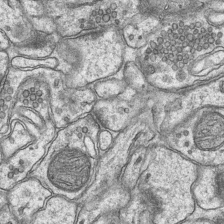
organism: Mouse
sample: CA1 Hippocampus